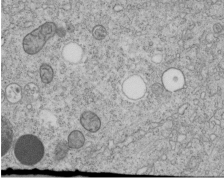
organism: C. elegans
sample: C. elegans embryo early stage